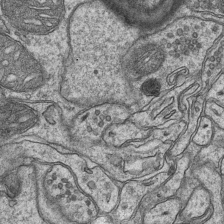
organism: Mouse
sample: CA1 Hippocampus